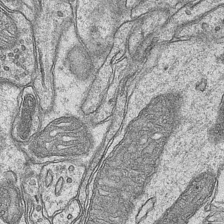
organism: Mouse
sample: CA1 Hippocampus